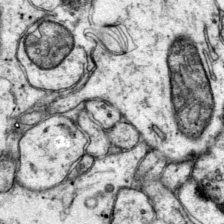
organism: Mouse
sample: Primary visual cortex